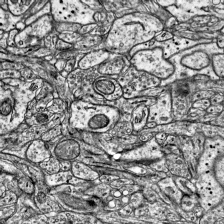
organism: Mouse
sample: Visual Cortex